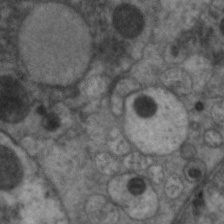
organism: C. elegans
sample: Pharynx